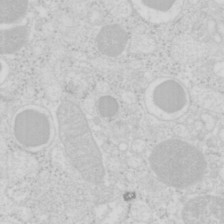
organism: Mouse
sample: Pancreas